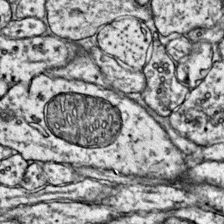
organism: Mouse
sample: Primary visual cortex